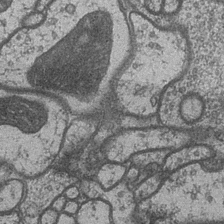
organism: Drosophila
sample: Optic medulla